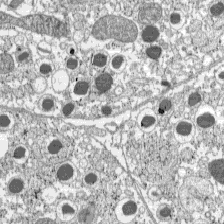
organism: C57BL Mouse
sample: Pancreatic islet